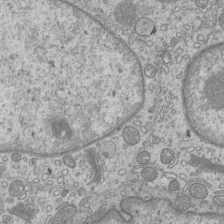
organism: Mouse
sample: Cilia; mouse epididymis